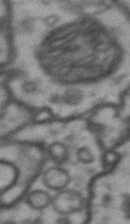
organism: Drosophila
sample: Brain